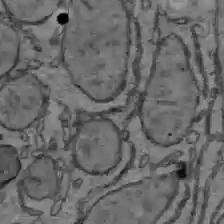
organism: C57BL Mouse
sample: Liver